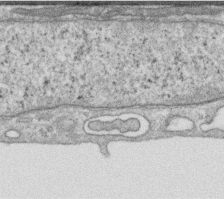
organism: Human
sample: Centriole in RPE cells